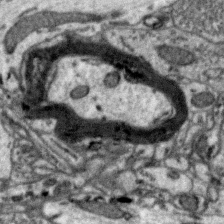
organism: Zebra finch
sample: Brain